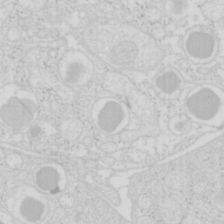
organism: Mouse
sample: Pancreas